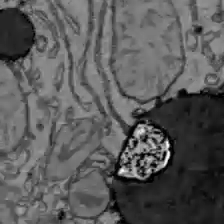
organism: C57BL Mouse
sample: Liver